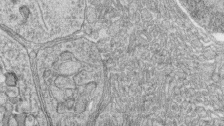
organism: Zebrafish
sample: synaptic ribbons in rod cells and cone cells